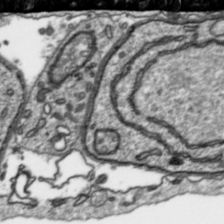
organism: Toxoplasma gondii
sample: Parasites in a vacuole inside a host cell